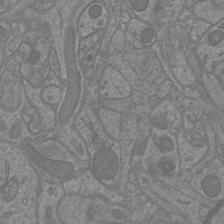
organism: Mouse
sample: Cortical neurons